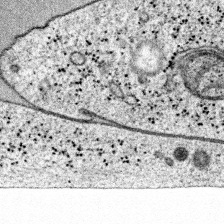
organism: Human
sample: HeLa cells